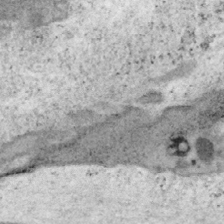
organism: Mouse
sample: OT-I killer T cells with ID8 ovarian cancer cells